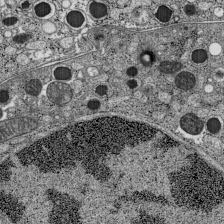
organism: C57BL Mouse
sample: Pancreatic islet